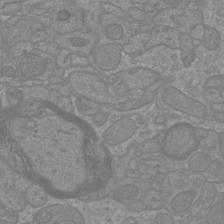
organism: Mouse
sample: Cortical neurons